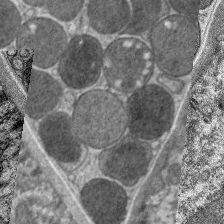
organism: C. elegans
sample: Pharynx